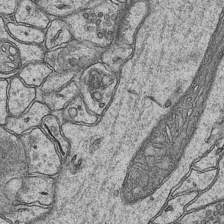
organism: Mouse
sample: CA1 Hippocampus